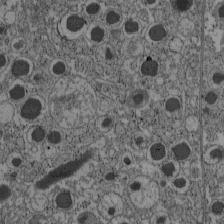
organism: C57BL Mouse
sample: Pancreatic islet